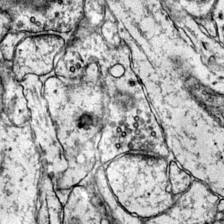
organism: Mouse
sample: Primary visual cortex